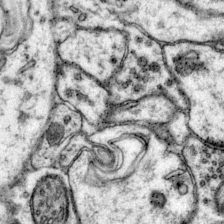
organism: Mouse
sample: Primary visual cortex